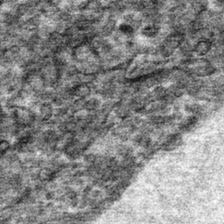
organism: Mouse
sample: Mouse hepatocytes